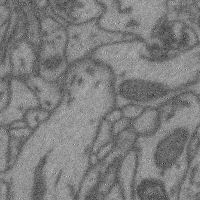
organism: Mouse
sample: Cerebral cortex